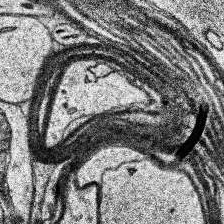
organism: Human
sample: Temporal Lobe